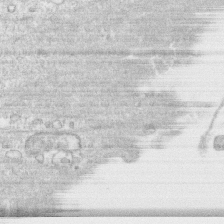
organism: Human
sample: CRL-1474